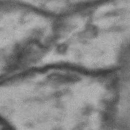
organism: Drosophila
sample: Brain